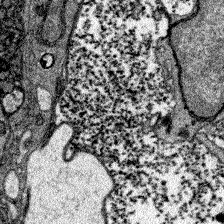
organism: Zebrafish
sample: Larval olfactory bulb